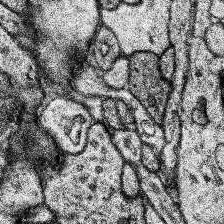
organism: Human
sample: Temporal Lobe